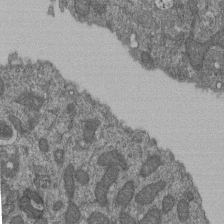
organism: Human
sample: Retinal organoid Rod and Cone cells